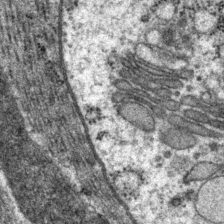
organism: P. pacificus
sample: Pharynx